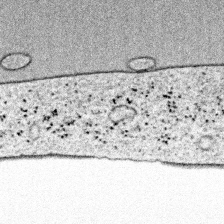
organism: Human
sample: HeLa cells